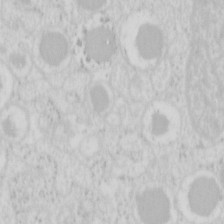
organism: Mouse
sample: Pancreas